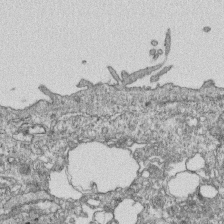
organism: Human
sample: HeLa cell HIV synapse